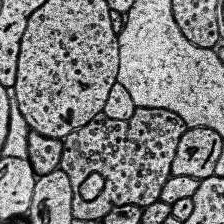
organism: Human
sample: Temporal Lobe